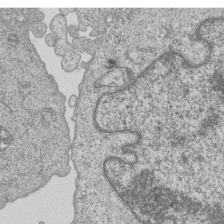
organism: Human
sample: MDA-MB-231 cells